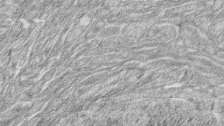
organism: Zebrafish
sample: synaptic ribbons in rod cells and cone cells